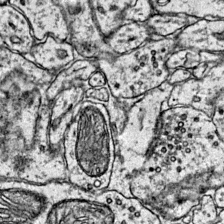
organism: Mouse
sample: Primary visual cortex